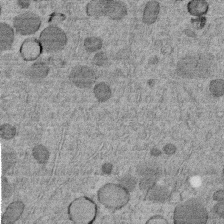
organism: C. elegans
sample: C. elegans embryo early stage